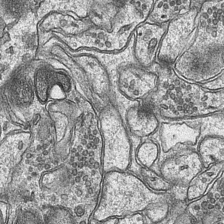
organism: Mouse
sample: CA1 Hippocampus